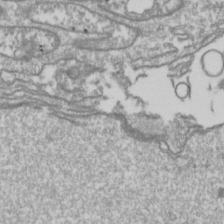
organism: Drosophila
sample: Cell division; meiosis; drosophila spermatocytes